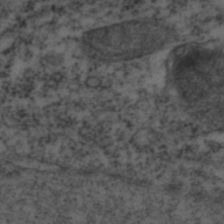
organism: C. elegans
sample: C. elegans embryo